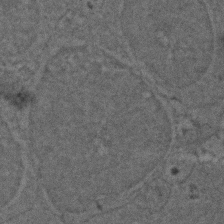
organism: Zebrafish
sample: Zebrafish embryo